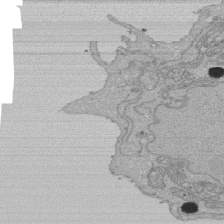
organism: Human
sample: Activated Jurkat CD4+ T cells